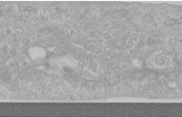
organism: Human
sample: Centriole in RPE cells